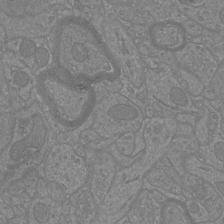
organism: Mouse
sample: Cortical neurons